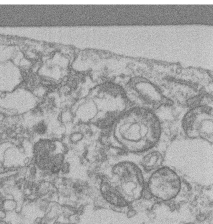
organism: Mouse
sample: T cell stromal cell synapse